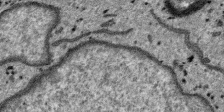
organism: Human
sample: Lung epithelial cells, uninfected (mock) control